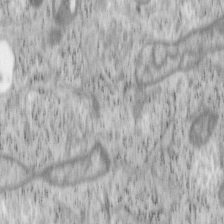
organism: Human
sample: HeLa cells